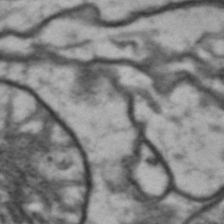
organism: Drosophila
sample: Brain